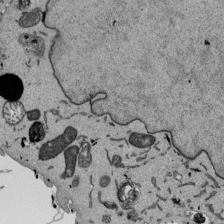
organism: Mouse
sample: ED-1 cell nuclei; centrioles